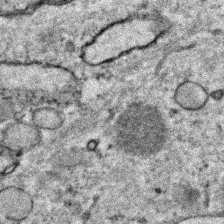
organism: Zebrafish